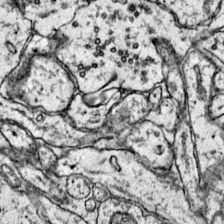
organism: Mouse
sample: Primary visual cortex